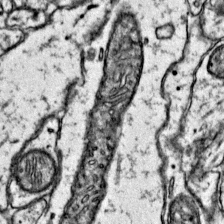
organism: Mouse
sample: Primary visual cortex